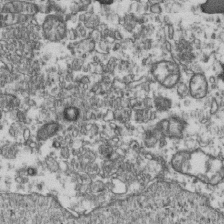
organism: Human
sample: Activated Jurkat CD4+ T cells